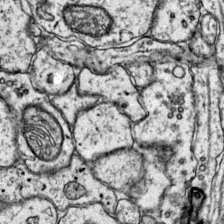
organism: Mouse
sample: Primary visual cortex